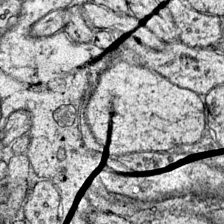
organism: Mouse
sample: Primary visual cortex